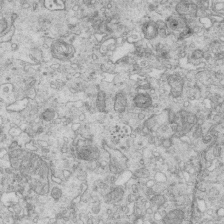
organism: Mouse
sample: Multiciliated cells